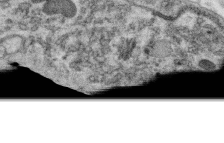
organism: C. elegans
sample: C. elegans oocyte; sperm cells